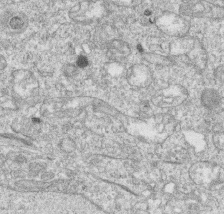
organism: Human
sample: HeLa cell HIV synapse